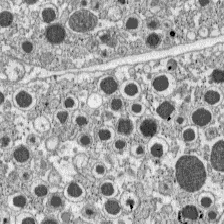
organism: C57BL Mouse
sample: Pancreatic islet